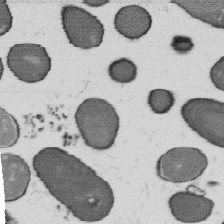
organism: B. subtilis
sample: Bacterial spore